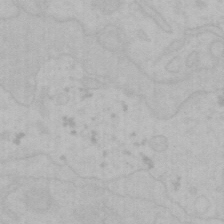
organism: Mouse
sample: Choroid plexus